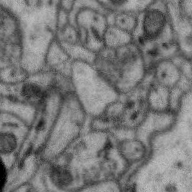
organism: Zebra finch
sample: Brain